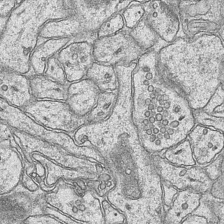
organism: Mouse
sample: CA1 Hippocampus